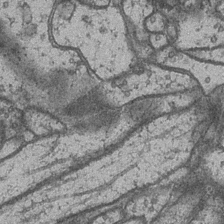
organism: Drosophila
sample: Optic medulla